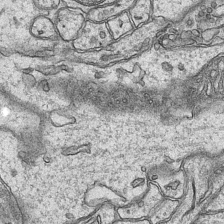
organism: Mouse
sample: CA1 Hippocampus